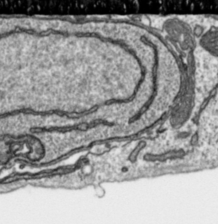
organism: Toxoplasma gondii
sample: Parasites in a vacuole inside a host cell